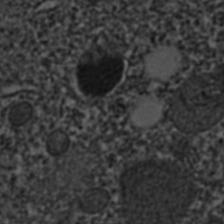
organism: C. elegans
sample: C. elegans embryo